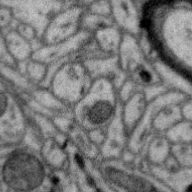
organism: Zebra finch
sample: Brain